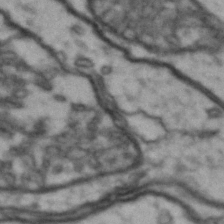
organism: Drosophila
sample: Brain